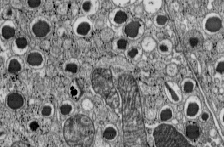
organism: C57BL Mouse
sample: Pancreatic islet